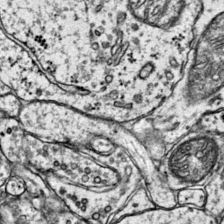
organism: Mouse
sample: Primary visual cortex